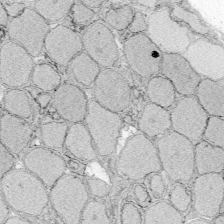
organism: Zebrafish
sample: Whole-Brain